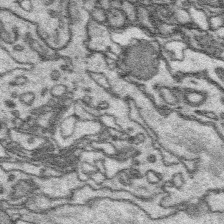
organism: Platynereis dumerilii